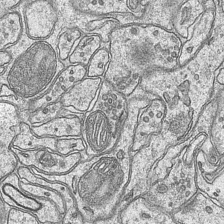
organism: Mouse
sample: CA1 Hippocampus